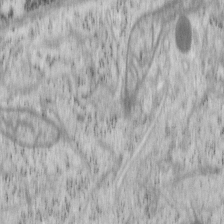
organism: Human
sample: HeLa cells